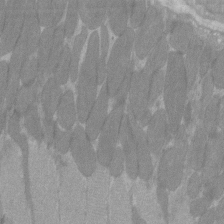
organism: C57BL Mouse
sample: Tibialis anterior muscle cell